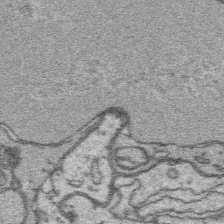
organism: Platynereis dumerilii